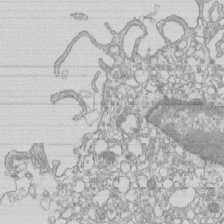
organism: Mouse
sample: Macrophages